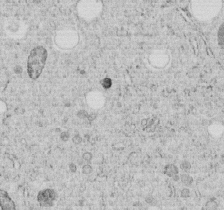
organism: C. elegans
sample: C. elegans embryo early stage